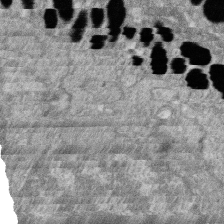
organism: Zebrafish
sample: Cilia; retinal pigment epithelium